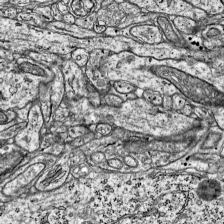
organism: Mouse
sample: Visual Cortex